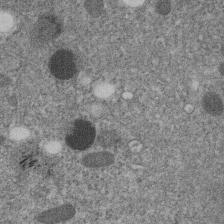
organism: C. elegans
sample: C. elegans embryo early stage